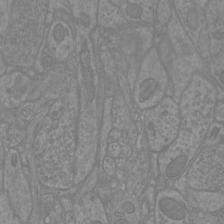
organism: Mouse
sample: Cortical neurons